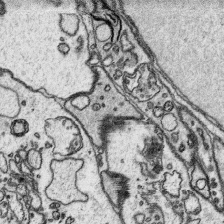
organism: Platynereis dumerilii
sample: Parapodia